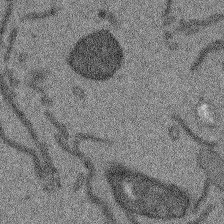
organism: Arabidopsis thaliana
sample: Root tip